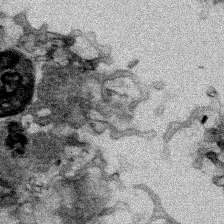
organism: Human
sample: Mitochondria in HCT116 cells